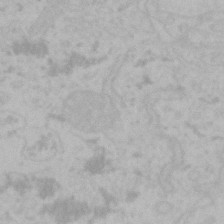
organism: Mouse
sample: Choroid plexus